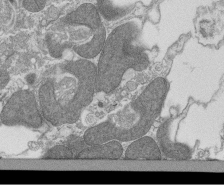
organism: Tetrahymena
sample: Cilia in tetrahymena